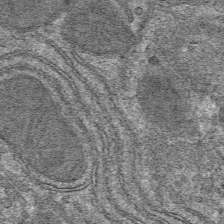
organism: Mouse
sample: Mouse hepatocytes